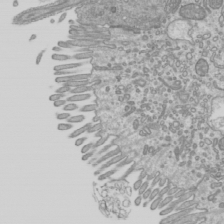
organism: Mouse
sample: Cilia; mouse epididymis